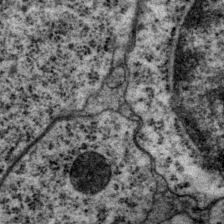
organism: P. pacificus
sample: Pharynx